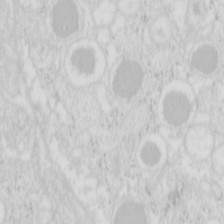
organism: Mouse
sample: Pancreas